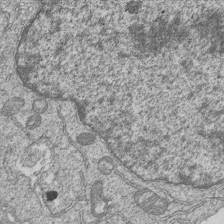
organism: Human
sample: MDA-MB-231 cells